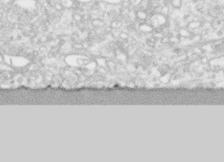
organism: Human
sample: CRL-1474